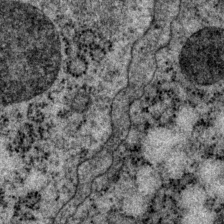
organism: P. pacificus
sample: Pharynx